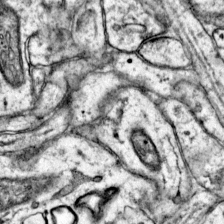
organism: Mouse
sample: Primary visual cortex